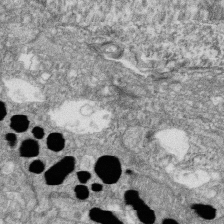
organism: Zebrafish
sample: Cilia; retinal pigment epithelium